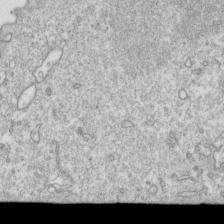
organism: Mouse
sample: Activated OT-1 CD8+ T cells